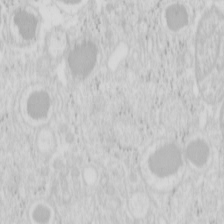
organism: Mouse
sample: Pancreas